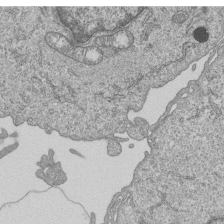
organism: Human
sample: MDA-MB-231 cells